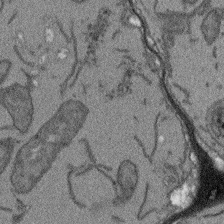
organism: Arabidopsis thaliana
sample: Root tip